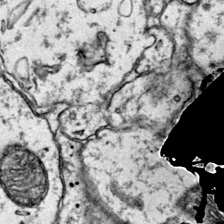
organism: Mouse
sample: Primary visual cortex